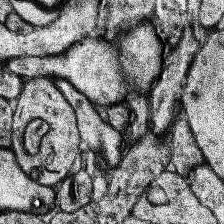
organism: Human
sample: Temporal Lobe